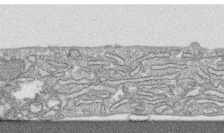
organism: Human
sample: CRL-1474